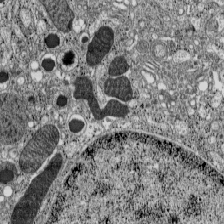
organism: C57BL Mouse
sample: Pancreatic islet